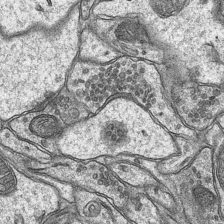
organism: Mouse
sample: CA1 Hippocampus